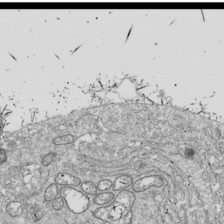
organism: Drosophila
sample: Cell division; meiosis; drosophila spermatocytes